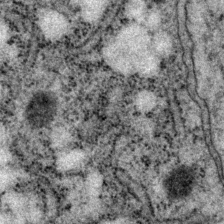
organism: P. pacificus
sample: Pharynx